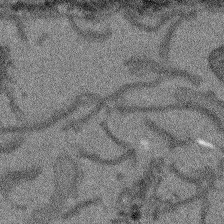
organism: Arabidopsis thaliana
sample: Root tip